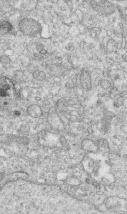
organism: Human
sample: HeLa cell HIV synapse